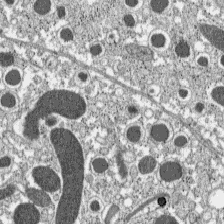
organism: C57BL Mouse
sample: Pancreatic islet